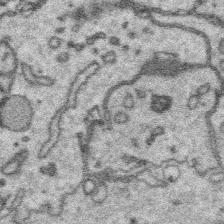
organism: Platynereis dumerilii